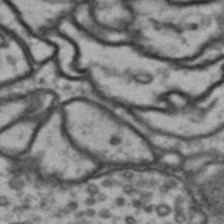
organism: Drosophila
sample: Brain